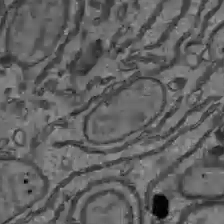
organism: C57BL Mouse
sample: Liver